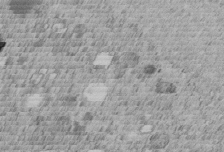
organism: C. elegans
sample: C. elegans embryo early stage